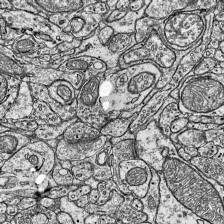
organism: Mouse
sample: Visual Cortex